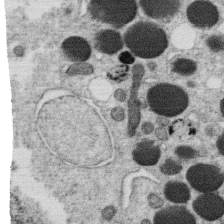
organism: C. elegans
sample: C. elegans oocyte; sperm cells